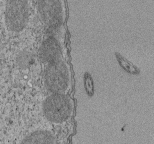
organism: Tetrahymena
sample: Cilia in tetrahymena